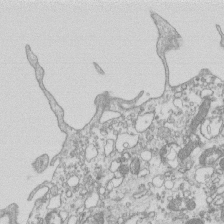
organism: Mouse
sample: Macrophages